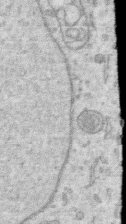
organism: Human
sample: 1205lu cells